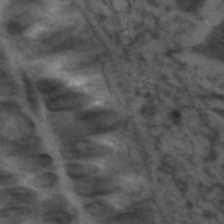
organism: C. elegans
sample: C. elegans embryo